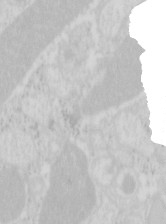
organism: Mouse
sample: Pancreas